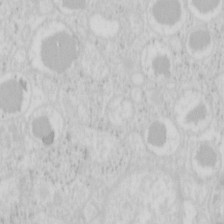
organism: Mouse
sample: Pancreas